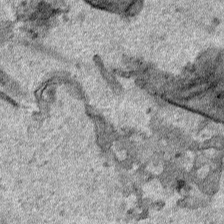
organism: Human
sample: Mitochondria in HCT116 cells